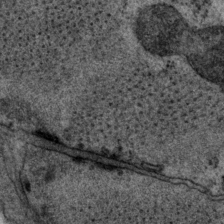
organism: P. pacificus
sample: Pharynx